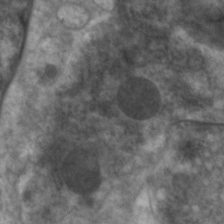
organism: C. elegans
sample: Pharynx